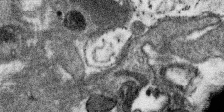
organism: Human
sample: Lung epithelial cells infected with SARS-CoV-2